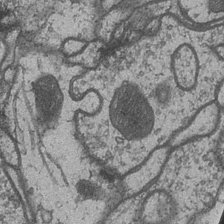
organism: Drosophila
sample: Optic medulla